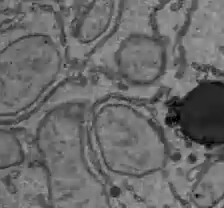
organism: C57BL Mouse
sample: Liver